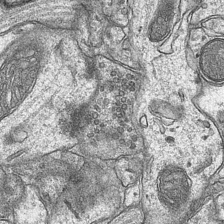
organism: Mouse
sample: CA1 Hippocampus